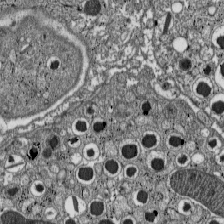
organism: C57BL Mouse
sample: Pancreatic islet